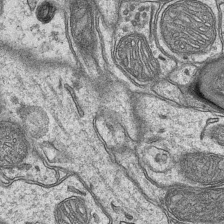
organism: Mouse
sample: CA1 Hippocampus